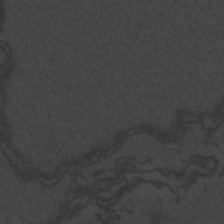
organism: Zebrafish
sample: Macrophage infected with Toxoplasma gondii